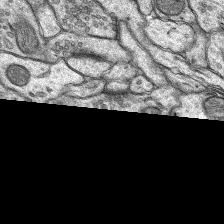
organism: Rat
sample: Hippocampus